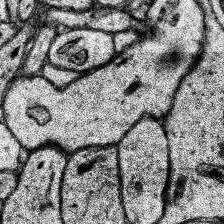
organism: Human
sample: Temporal Lobe